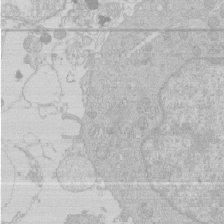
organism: Human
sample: Macrophage cells